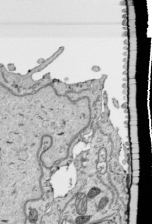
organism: Human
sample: Mitochondria in HCT116 cells